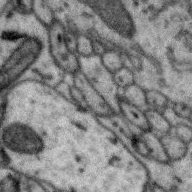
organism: Zebra finch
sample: Brain